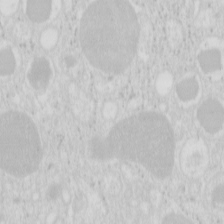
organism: Mouse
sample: Pancreas